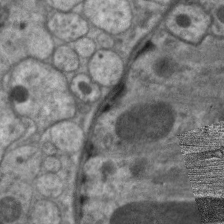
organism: C. elegans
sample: Pharynx